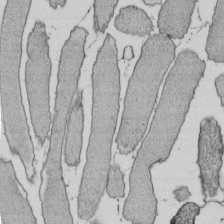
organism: E. coli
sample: Bacterial nucleoid